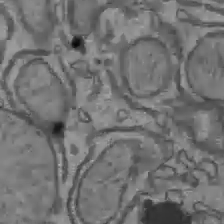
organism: C57BL Mouse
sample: Liver